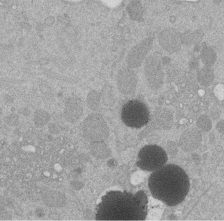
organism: Mouse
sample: Dividing mouse embryo 1 cell stage